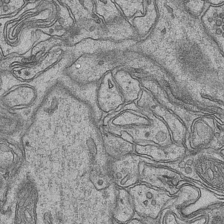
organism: Mouse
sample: CA1 Hippocampus